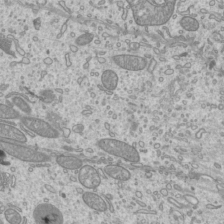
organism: Mouse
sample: Cilia; mouse epididymis